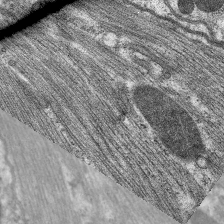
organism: C. elegans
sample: Pharynx